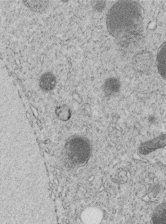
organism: C. elegans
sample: C. elegans embryo early stage